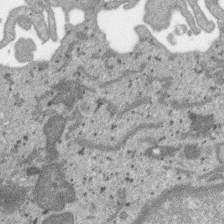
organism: Human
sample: Lung epithelial cells infected with SARS-CoV-2